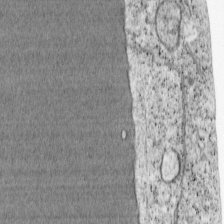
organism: African green monkey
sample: COS-7 cells